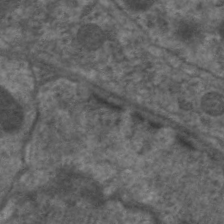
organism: C. elegans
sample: Pharynx